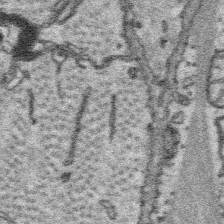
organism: Platynereis dumerilii